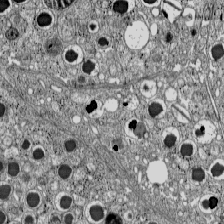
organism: C57BL Mouse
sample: Pancreatic islet